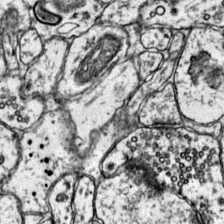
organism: Mouse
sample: Primary visual cortex